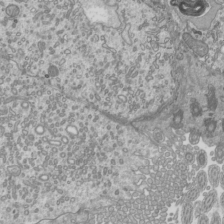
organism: Mouse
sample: Cilia; mouse epididymis